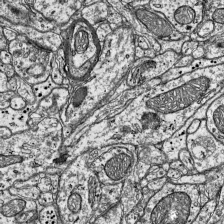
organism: Mouse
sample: Visual Cortex